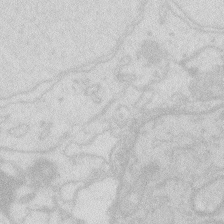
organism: Zebrafish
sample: Macrophage